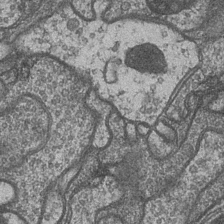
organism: Drosophila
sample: Optic medulla